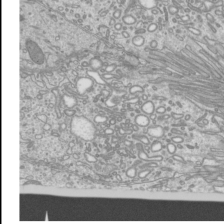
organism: Mouse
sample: Cilia; mouse epididymis